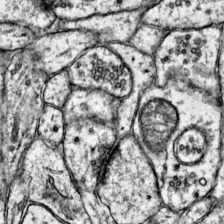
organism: Mouse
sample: Primary visual cortex